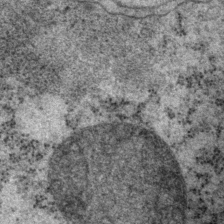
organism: P. pacificus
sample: Pharynx